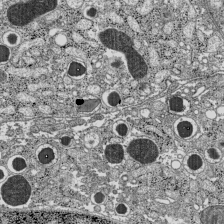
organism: C57BL Mouse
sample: Pancreatic islet